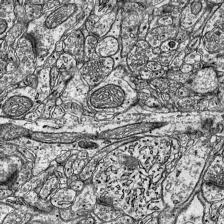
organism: Mouse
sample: Visual Cortex